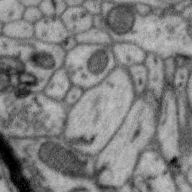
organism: Zebra finch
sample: Brain